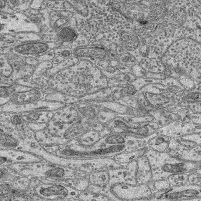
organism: Mouse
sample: Retina